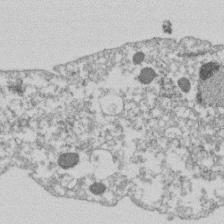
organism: Dictyostelium discoideum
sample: Dictyostelium multivesicular bodies